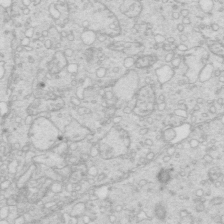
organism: Mouse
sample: Multiciliated cells